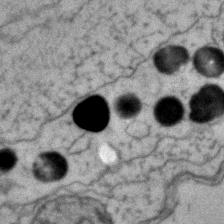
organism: Zebrafish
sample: Zebrafish embryo